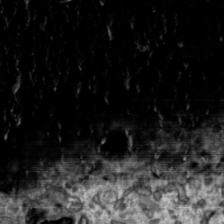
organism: Toxoplasma gondii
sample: Parasites in a vacuole inside a host cell